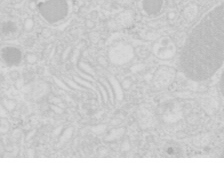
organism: Mouse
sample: Pancreas